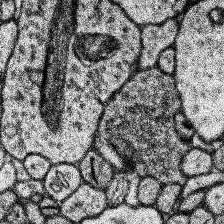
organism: Human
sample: Temporal Lobe